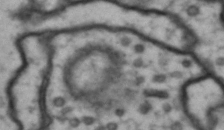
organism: Drosophila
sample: Brain